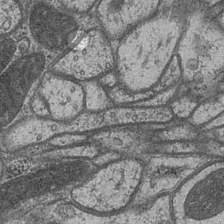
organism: Drosophila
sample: Optic medulla